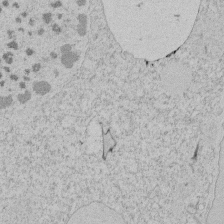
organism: Tetrahymena